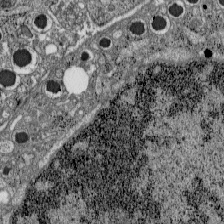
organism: C57BL Mouse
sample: Pancreatic islet